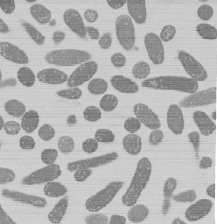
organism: E. coli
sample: Bacterial nucleoid